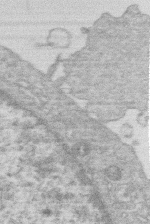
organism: Human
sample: Macrophage cells